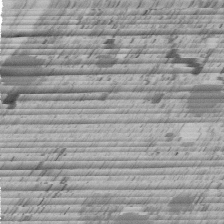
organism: C. elegans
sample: C. elegans embryo early stage